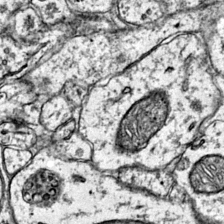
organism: Mouse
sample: Primary visual cortex